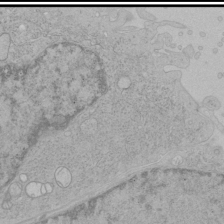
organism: Human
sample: Mitochondria in HCT116 cells